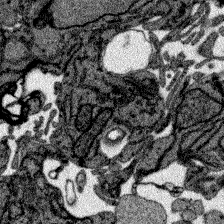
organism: Zebrafish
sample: Larval olfactory bulb